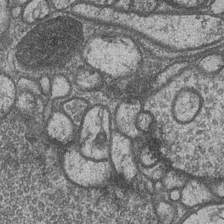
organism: Drosophila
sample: Optic medulla